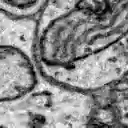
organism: Zebrafish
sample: Brain